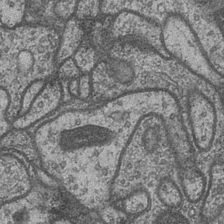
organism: Drosophila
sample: Optic medulla